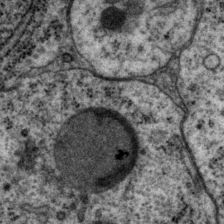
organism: P. pacificus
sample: Pharynx